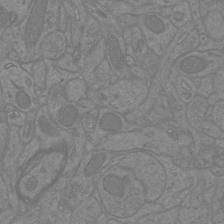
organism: Mouse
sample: Cortical neurons